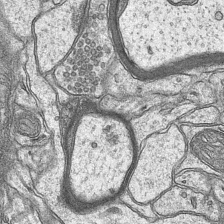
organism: Mouse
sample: CA1 Hippocampus